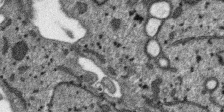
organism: Human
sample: Lung epithelial cells infected with SARS-CoV-2